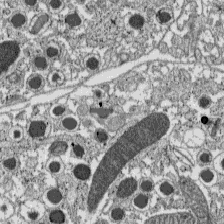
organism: C57BL Mouse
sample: Pancreatic islet